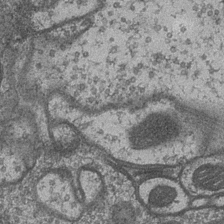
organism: Drosophila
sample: Optic medulla